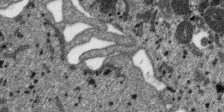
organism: Human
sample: Lung epithelial cells infected with SARS-CoV-2